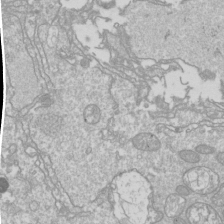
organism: Drosophila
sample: Cell division; meiosis; drosophila spermatocytes